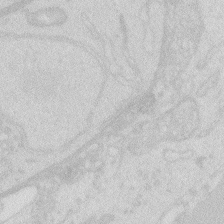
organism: Zebrafish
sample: Macrophage